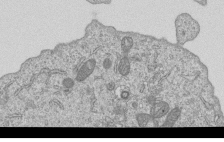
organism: Human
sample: MDA-MB-231 cells